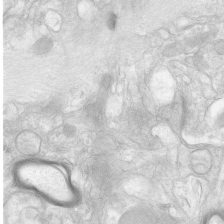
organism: Human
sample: Neocortex